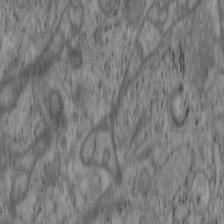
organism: Human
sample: HeLa cells